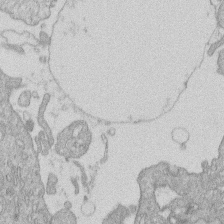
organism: Human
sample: Macrophage cells